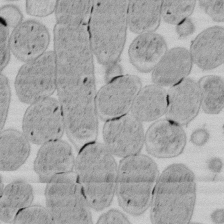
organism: E. coli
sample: Bacterial nucleoid